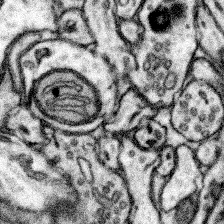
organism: Mouse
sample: Somatosensory cortex neuropil